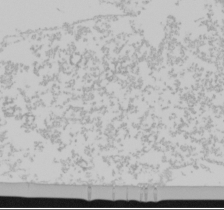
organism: Mouse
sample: Cancer cell death in ED-1 cells